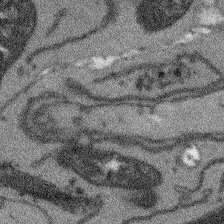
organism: Arabidopsis thaliana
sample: Root tip